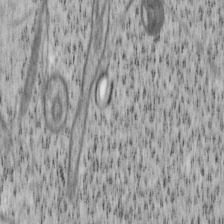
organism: Human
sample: HeLa cells